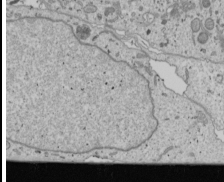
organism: Human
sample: Mitochondria in U2OS cells